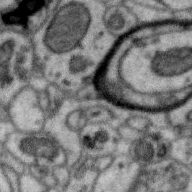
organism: Zebra finch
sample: Brain